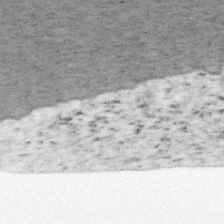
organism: Mouse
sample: OT-I killer T cells with ID8 ovarian cancer cells